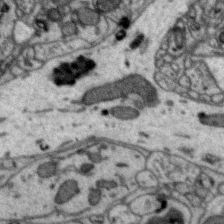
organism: Zebra finch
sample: Brain